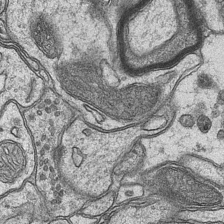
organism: Mouse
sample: CA1 Hippocampus